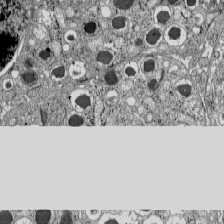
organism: C57BL Mouse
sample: Pancreatic islet